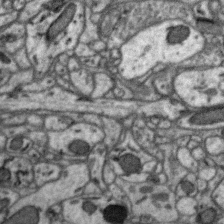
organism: Zebra finch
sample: Brain